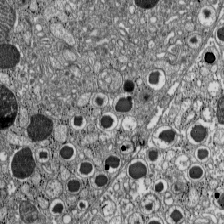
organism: C57BL Mouse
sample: Pancreatic islet